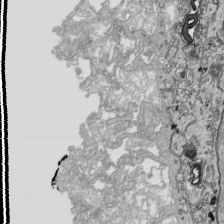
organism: Human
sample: Mitochondria in HCT116 cells